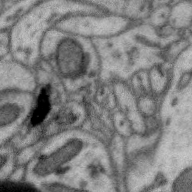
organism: Zebra finch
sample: Brain